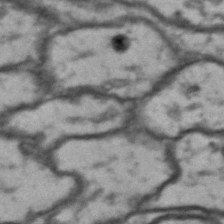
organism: Drosophila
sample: Brain